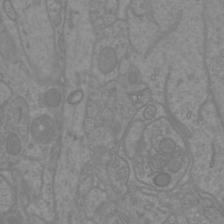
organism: Mouse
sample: Cortical neurons